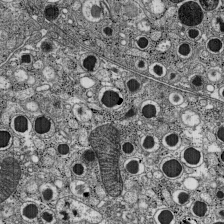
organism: C57BL Mouse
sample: Pancreatic islet